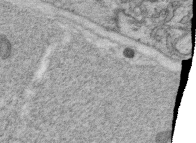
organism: C. elegans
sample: C. elegans oocyte; sperm cells